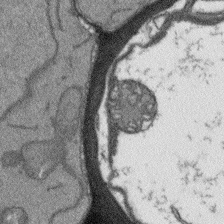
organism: Arabidopsis thaliana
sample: Root tip